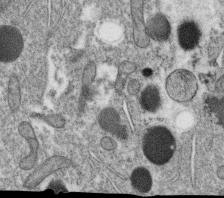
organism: C. elegans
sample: C. elegans oocyte; sperm cells